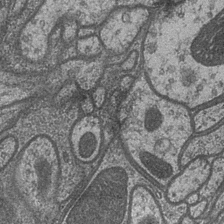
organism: Drosophila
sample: Optic medulla